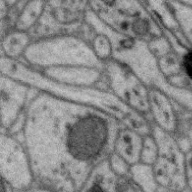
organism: Zebra finch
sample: Brain